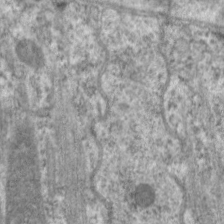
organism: C. elegans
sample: Pharynx